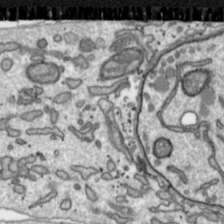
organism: Toxoplasma gondii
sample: Parasites in a vacuole inside a host cell